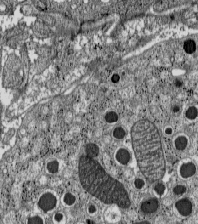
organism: C57BL Mouse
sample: Pancreatic islet